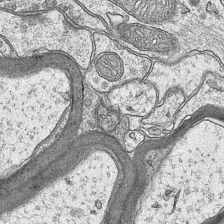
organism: Mouse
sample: CA1 Hippocampus